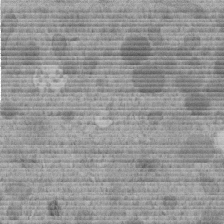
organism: C. elegans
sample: C. elegans embryo early stage